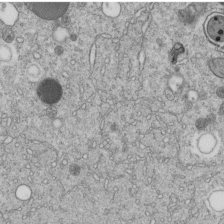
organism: C. elegans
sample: C. elegans embryo early stage